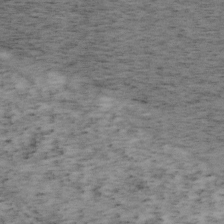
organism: Mouse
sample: OT-I killer T cells with ID8 ovarian cancer cells